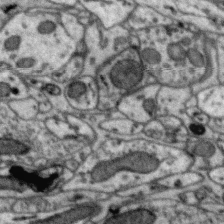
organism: Zebra finch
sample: Brain